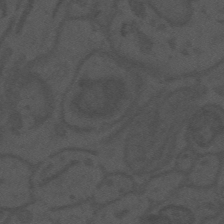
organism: Mouse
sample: Suprachiasmatic nucleus